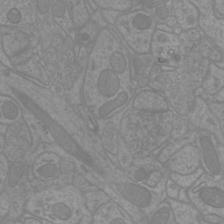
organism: Mouse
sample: Cortical neurons